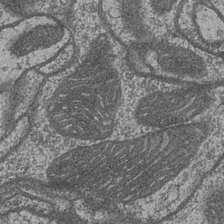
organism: Drosophila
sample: Optic medulla